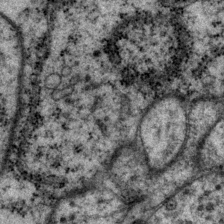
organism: P. pacificus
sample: Pharynx